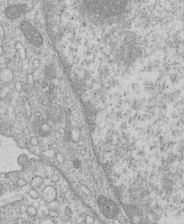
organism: Human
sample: Macrophage cells